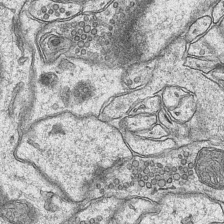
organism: Mouse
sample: CA1 Hippocampus